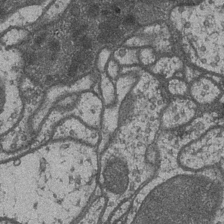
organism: Drosophila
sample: Optic medulla